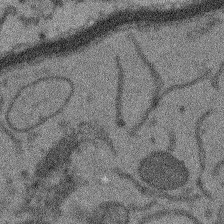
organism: Arabidopsis thaliana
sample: Root tip